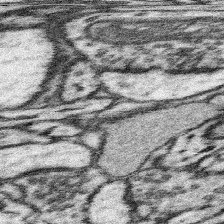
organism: Mouse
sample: Somatosensory cortex neuropil